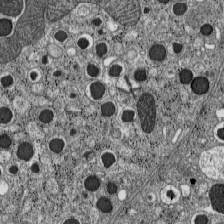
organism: C57BL Mouse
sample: Pancreatic islet